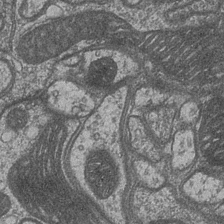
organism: Drosophila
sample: Optic medulla